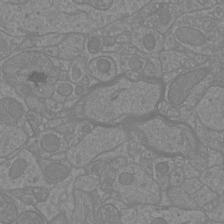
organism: Mouse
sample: Cortical neurons